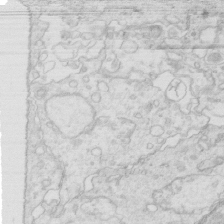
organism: Mouse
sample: Multiciliated cells